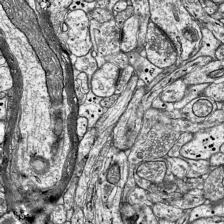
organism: Mouse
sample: Visual Cortex